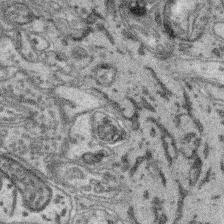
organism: Mouse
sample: Retina